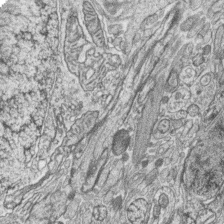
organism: Zebrafish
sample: synaptic ribbons in rod cells and cone cells